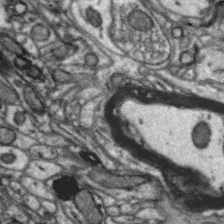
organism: Zebra finch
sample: Brain